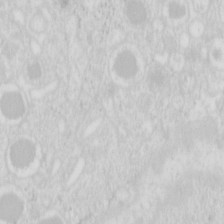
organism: Mouse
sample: Pancreas